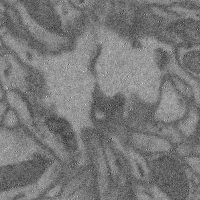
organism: Mouse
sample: Cerebral cortex